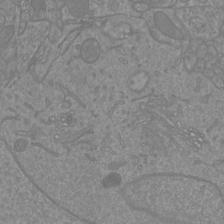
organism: Mouse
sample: Cortical neurons